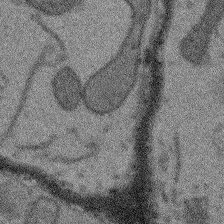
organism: Arabidopsis thaliana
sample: Root tip